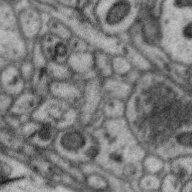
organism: Zebra finch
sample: Brain